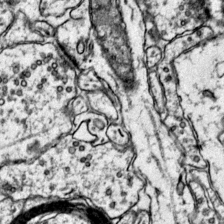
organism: Mouse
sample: Primary visual cortex